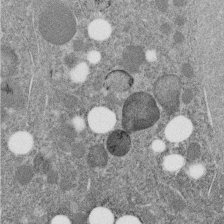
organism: C. elegans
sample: C. elegans embryo early stage